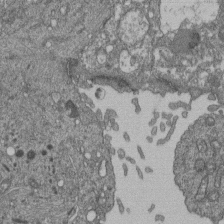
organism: Human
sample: Retinal organoid Rod and Cone cells